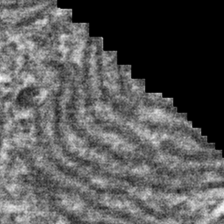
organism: Mouse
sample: Mouse hepatocytes